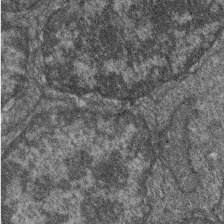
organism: Zebrafish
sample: Cilia; retinal pigment epithelium